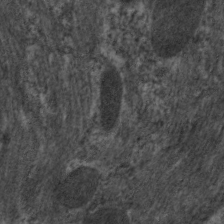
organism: C. elegans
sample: Pharynx